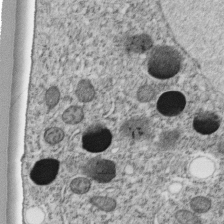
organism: C. elegans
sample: C. elegans embryo early stage